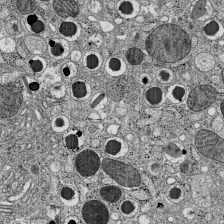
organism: C57BL Mouse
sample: Pancreatic islet